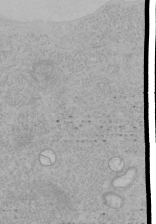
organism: Human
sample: Mitochondria in HCT116 cells